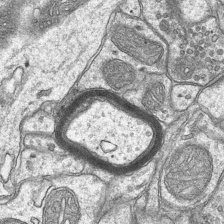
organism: Mouse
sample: CA1 Hippocampus